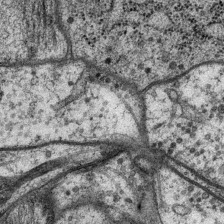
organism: P. pacificus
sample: Pharynx